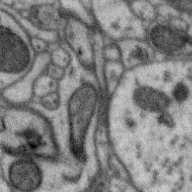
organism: Zebra finch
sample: Brain